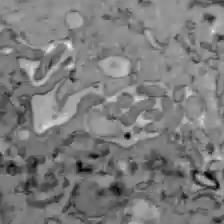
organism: C57BL Mouse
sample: Liver